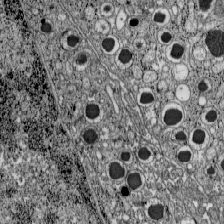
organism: C57BL Mouse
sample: Pancreatic islet